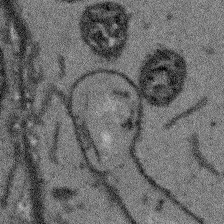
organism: Arabidopsis thaliana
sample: Root tip